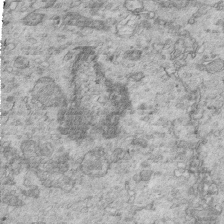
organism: Mouse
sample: Multiciliated cells